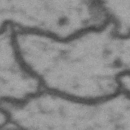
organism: Drosophila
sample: Brain